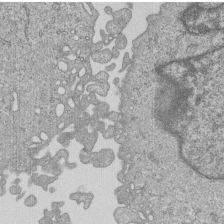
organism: Human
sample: MDA-MB-231 cells